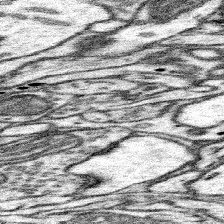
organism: Mouse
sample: Somatosensory cortex neuropil